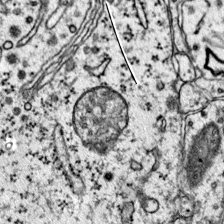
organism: Mouse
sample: Primary visual cortex